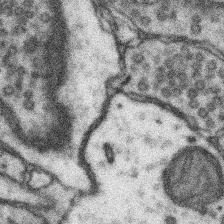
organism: Mouse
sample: Somatosensory cortex neuropil